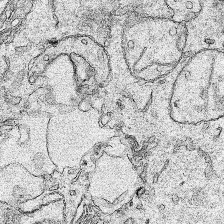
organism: Human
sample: Mitochondria in HCT116 cells